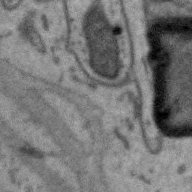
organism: Zebra finch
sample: Brain